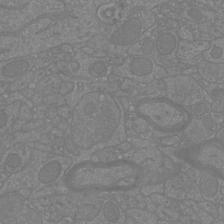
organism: Mouse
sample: Cortical neurons